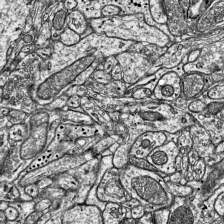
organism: Mouse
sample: Visual Cortex